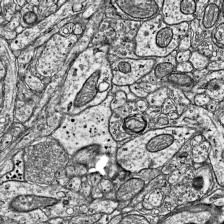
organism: Mouse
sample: Visual Cortex